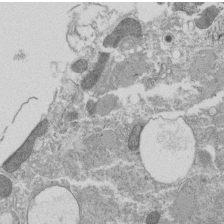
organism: Tetrahymena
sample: Cilia in tetrahymena